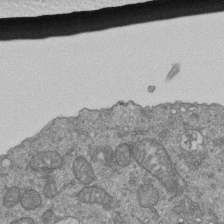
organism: Human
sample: Retinal organoid Rod and Cone cells